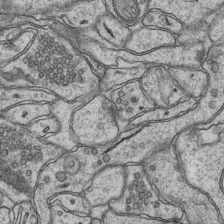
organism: Mouse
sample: CA1 Hippocampus